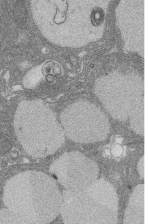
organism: Rat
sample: Salivary granule